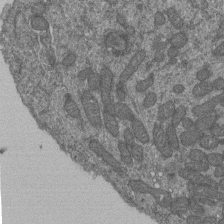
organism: Human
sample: Retinal organoid Rod and Cone cells